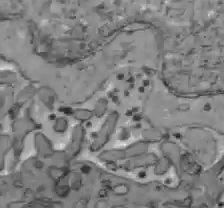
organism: C57BL Mouse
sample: Liver